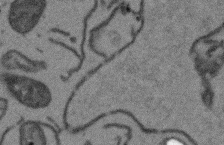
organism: Arabidopsis thaliana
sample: Root tip